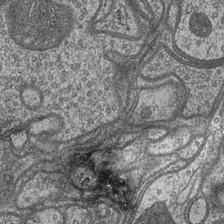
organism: Drosophila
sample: Optic medulla